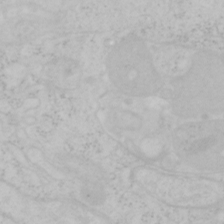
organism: Mouse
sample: OT-I killer T cells with ID8 ovarian cancer cells